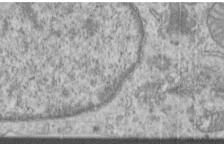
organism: Human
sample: Centriole in RPE cells